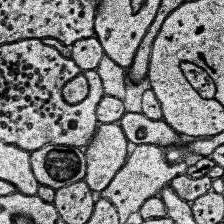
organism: Human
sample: Temporal Lobe